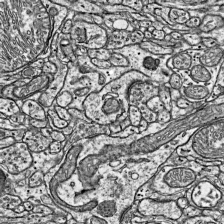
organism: Mouse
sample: Visual Cortex